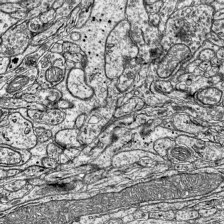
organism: Mouse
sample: Visual Cortex